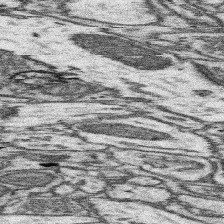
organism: Mouse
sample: Somatosensory cortex neuropil